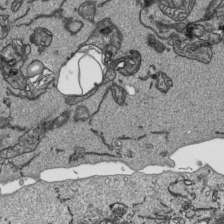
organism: Human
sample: Mitochondria in HCT116 cells